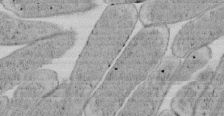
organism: E. coli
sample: Bacterial nucleoid